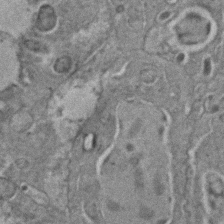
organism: C. elegans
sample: C. elegans embryo